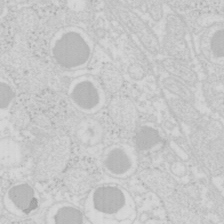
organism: Mouse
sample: Pancreas